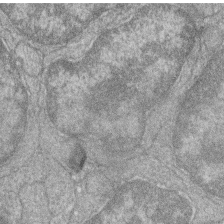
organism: Zebrafish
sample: Cilia; retinal pigment epithelium